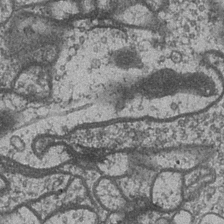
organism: Drosophila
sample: Optic medulla